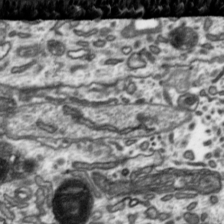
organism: Toxoplasma gondii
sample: Parasites in a vacuole inside a host cell